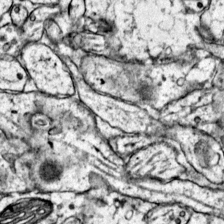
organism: Mouse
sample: Primary visual cortex